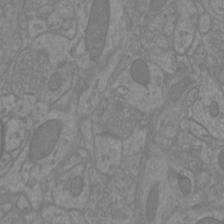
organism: Mouse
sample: Cortical neurons